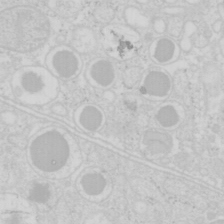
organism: Mouse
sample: Pancreas